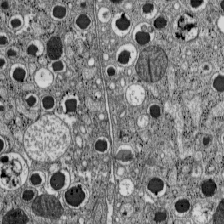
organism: C57BL Mouse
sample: Pancreatic islet